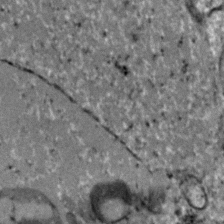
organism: Zebrafish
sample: Zebrafish embryo